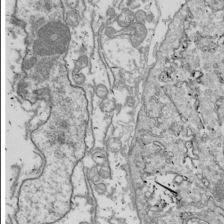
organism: Drosophila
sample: Cell division; meiosis; drosophila spermatocytes